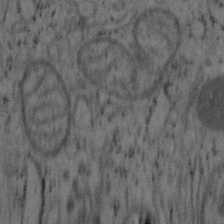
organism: Human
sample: HeLa cells